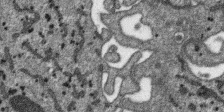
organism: Human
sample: Lung epithelial cells infected with SARS-CoV-2